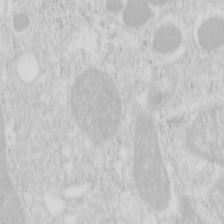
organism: Mouse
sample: Pancreas